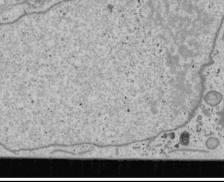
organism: Human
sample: Mitochondria in U2OS cells